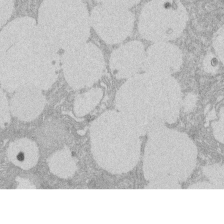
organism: Rat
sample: Salivary granule